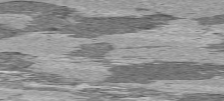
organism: C57BL Mouse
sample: Heart